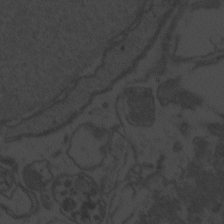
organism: Zebrafish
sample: Macrophage infected with Toxoplasma gondii